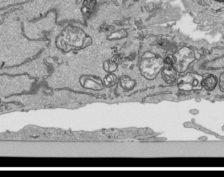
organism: Human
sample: Mitochondria in HCT116 cells